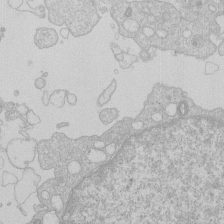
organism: Human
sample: Macrophage cells